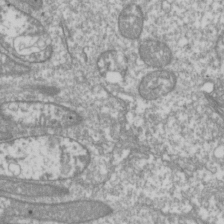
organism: Drosophila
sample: Cell division; meiosis; drosophila spermatocytes